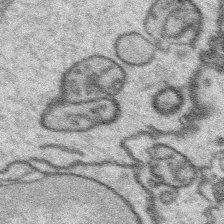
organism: Platynereis dumerilii